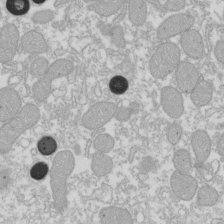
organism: Xenopus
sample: Cilia; centrioles in frog embryo cells